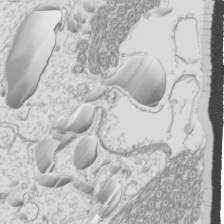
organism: Mouse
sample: Cilia; mouse epididymis